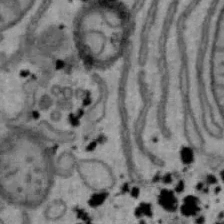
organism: Mouse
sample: Liver